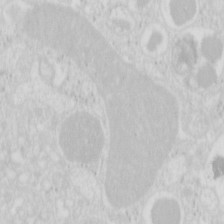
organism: Mouse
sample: Pancreas